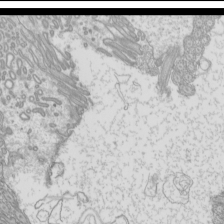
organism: Mouse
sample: Cilia; mouse epididymis